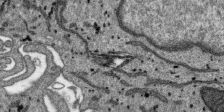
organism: Human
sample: Lung epithelial cells, uninfected (mock) control